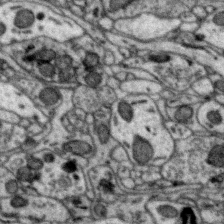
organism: Zebra finch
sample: Brain